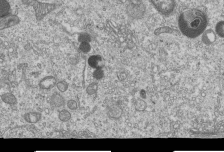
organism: Human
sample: MDA-MB-231 cells